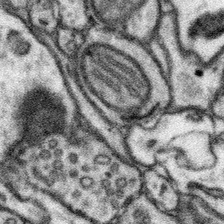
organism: Mouse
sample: Somatosensory cortex neuropil